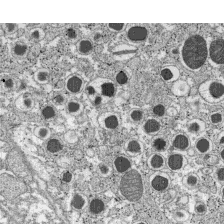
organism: C57BL Mouse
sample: Pancreatic islet